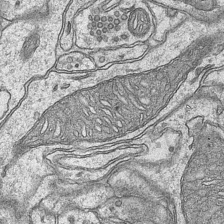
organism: Mouse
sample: CA1 Hippocampus